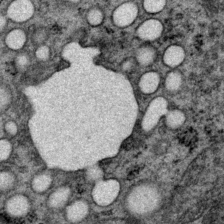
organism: P. pacificus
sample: Pharynx